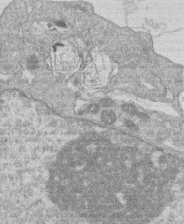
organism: Human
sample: Macrophage cells